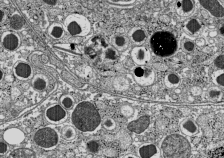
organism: C57BL Mouse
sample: Pancreatic islet